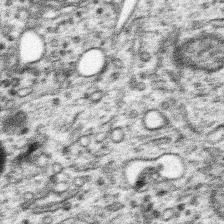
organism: Human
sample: HeLa cells